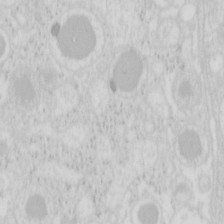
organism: Mouse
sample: Pancreas